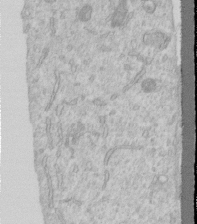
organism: Human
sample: Centriole in RPE cells